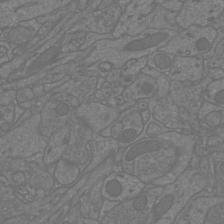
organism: Mouse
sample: Cortical neurons